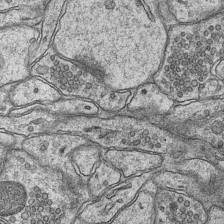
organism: Mouse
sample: CA1 Hippocampus